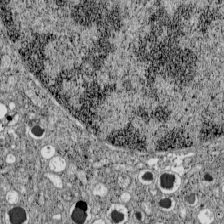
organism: C57BL Mouse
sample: Pancreatic islet